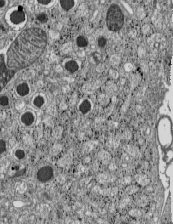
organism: C57BL Mouse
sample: Pancreatic islet